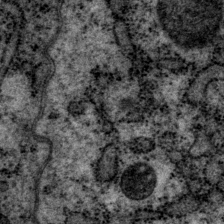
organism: P. pacificus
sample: Pharynx